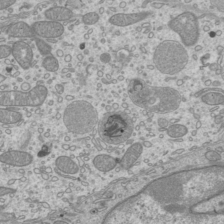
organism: Mouse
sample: Cilia; mouse epididymis